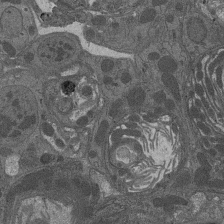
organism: Drosophila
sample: Antenna